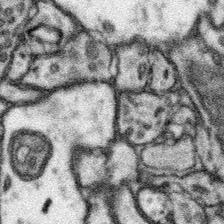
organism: Mouse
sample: Somatosensory cortex neuropil